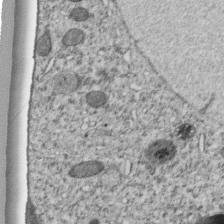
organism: C. elegans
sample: C. elegans embryo early stage